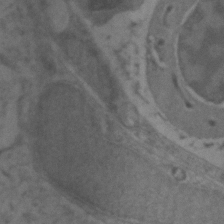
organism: Zebrafish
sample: Zebrafish embryo